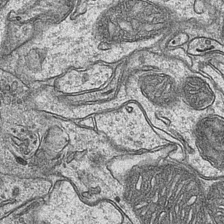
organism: Mouse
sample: CA1 Hippocampus